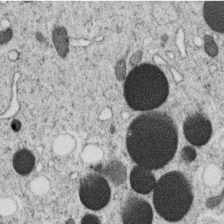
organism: C. elegans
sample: C. elegans oocyte; sperm cells